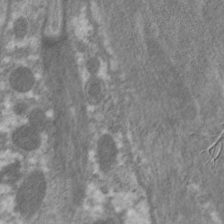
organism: C. elegans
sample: Pharynx